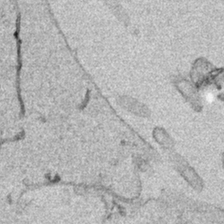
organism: Human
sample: Mitochondria in HCT116 cells